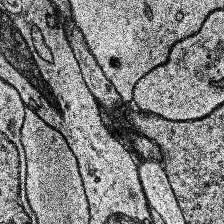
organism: Human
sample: Temporal Lobe